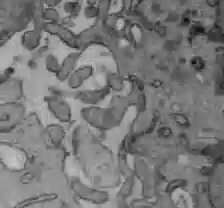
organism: C57BL Mouse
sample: Liver